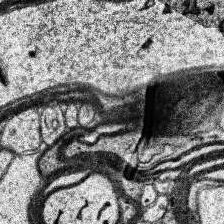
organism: Human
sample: Temporal Lobe